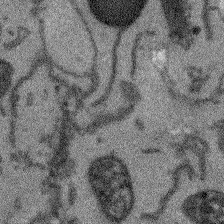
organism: Arabidopsis thaliana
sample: Root tip